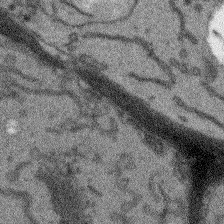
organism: Arabidopsis thaliana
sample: Root tip